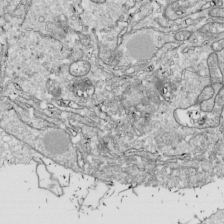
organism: Drosophila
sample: Cell division; meiosis; drosophila spermatocytes